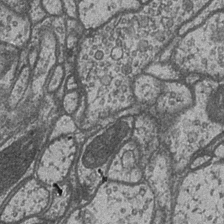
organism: Drosophila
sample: Optic medulla